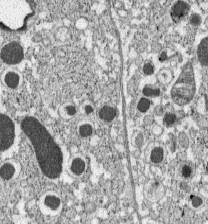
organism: C57BL Mouse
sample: Pancreatic islet